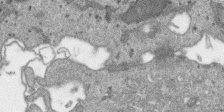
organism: Human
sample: Lung epithelial cells infected with SARS-CoV-2